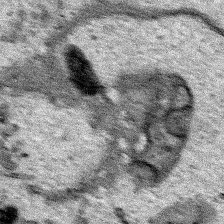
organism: Human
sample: Mitochondria in HCT116 cells